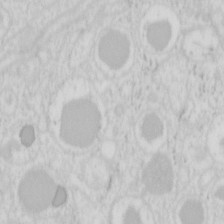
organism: Mouse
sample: Pancreas